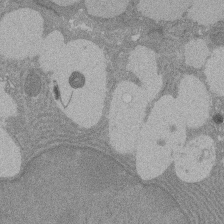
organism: Rat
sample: Salivary granule